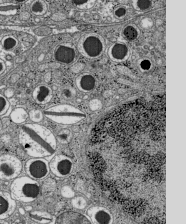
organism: C57BL Mouse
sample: Pancreatic islet